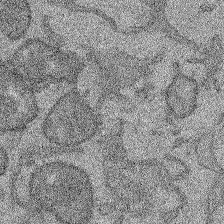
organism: Human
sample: HeLa cells